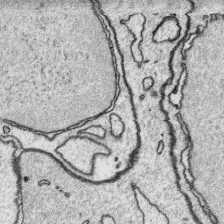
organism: Platynereis dumerilii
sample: Parapodia